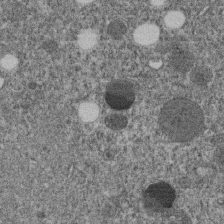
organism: C. elegans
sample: C. elegans embryo early stage